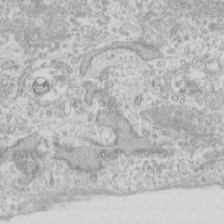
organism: Human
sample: Fibroblast cells